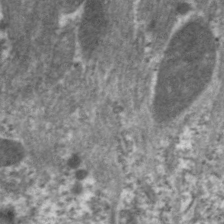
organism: C. elegans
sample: Pharynx